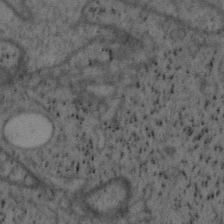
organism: Human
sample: HeLa cells